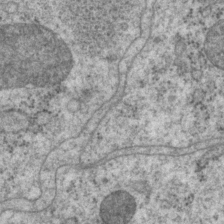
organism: P. pacificus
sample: Pharynx